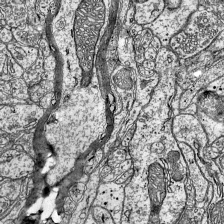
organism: Mouse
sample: Visual Cortex